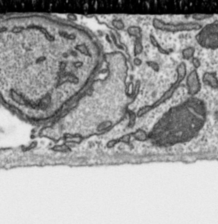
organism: Toxoplasma gondii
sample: Parasites in a vacuole inside a host cell